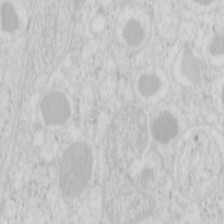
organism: Mouse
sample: Pancreas